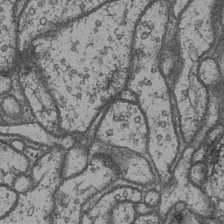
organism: Drosophila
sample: Optic medulla